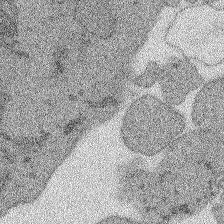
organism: Human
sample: HeLa cells